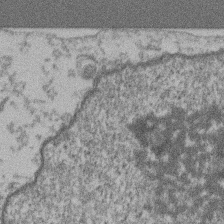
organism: Mouse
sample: T cell stromal cell synapse